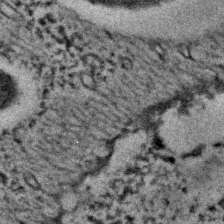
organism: C. elegans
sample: C. elegans embryo